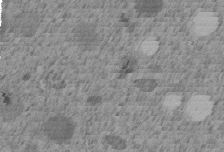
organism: C. elegans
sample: C. elegans embryo early stage